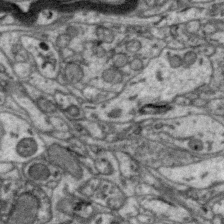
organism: Zebra finch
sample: Brain